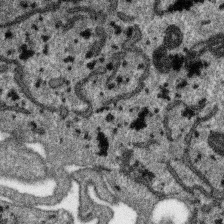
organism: Human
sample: Lung epithelial cells infected with SARS-CoV-2